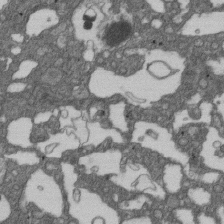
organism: Drosophila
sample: Nephrocyte